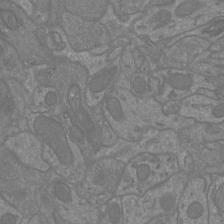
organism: Mouse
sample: Cortical neurons